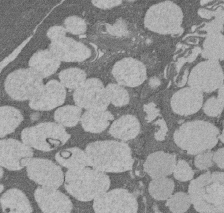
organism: Rat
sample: Salivary granule